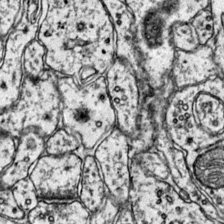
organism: Mouse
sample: Primary visual cortex